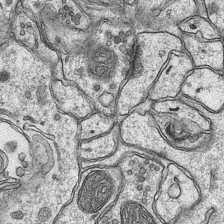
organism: Mouse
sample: CA1 Hippocampus